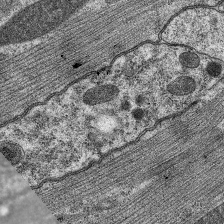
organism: C. elegans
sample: Pharynx